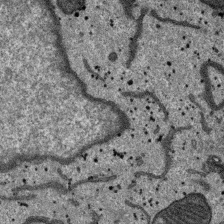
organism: Human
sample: Lung epithelial cells, uninfected (mock) control